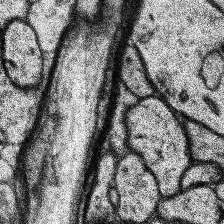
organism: Human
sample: Temporal Lobe